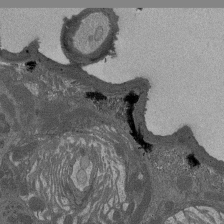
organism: Drosophila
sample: Antenna